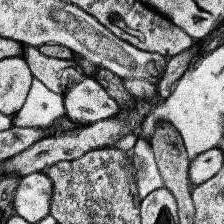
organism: Human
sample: Temporal Lobe